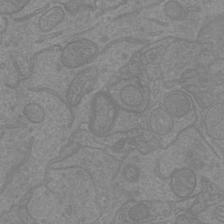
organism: Mouse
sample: Cortical neurons